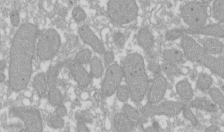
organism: Xenopus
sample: Cilia; centrioles in frog embryo cells